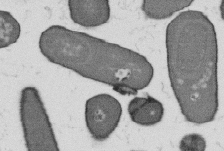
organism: B. subtilis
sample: Bacterial spore